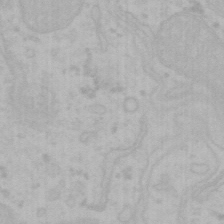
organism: Mouse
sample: Choroid plexus